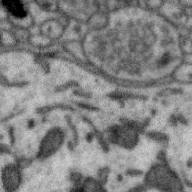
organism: Zebra finch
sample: Brain